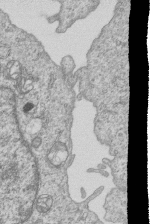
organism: Human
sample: MDA-MB-231 cells